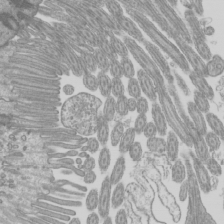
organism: Mouse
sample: Cilia; mouse epididymis